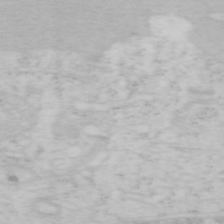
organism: Mouse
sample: OT-I killer T cells with ID8 ovarian cancer cells